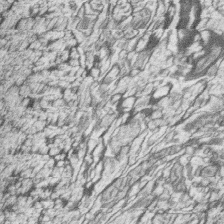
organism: Zebrafish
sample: synaptic ribbons in rod cells and cone cells